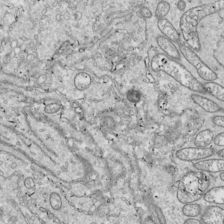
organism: Drosophila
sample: Cell division; meiosis; drosophila spermatocytes